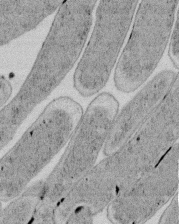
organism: E. coli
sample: Bacterial nucleoid